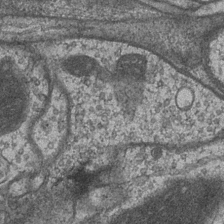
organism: Drosophila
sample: Optic medulla